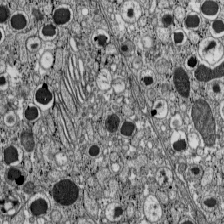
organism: C57BL Mouse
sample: Pancreatic islet